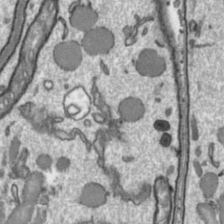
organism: Toxoplasma gondii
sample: Parasites in a vacuole inside a host cell